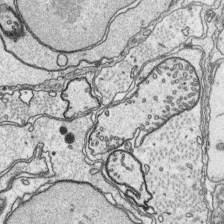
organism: Platynereis dumerilii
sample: Parapodia